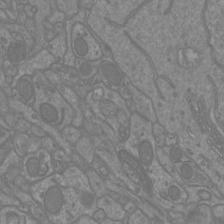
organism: Mouse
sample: Cortical neurons